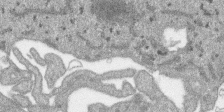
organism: Human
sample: Lung epithelial cells infected with SARS-CoV-2